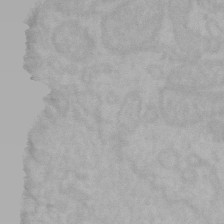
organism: Mouse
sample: Choroid plexus